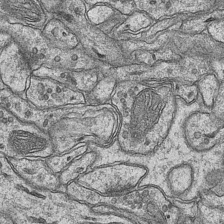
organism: Mouse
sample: CA1 Hippocampus